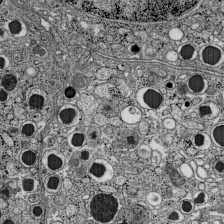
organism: C57BL Mouse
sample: Pancreatic islet